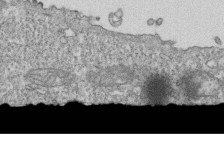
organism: Human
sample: HeLa cell HIV synapse